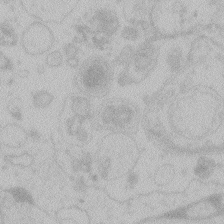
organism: Zebrafish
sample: Macrophage infected with Toxoplasma gondii